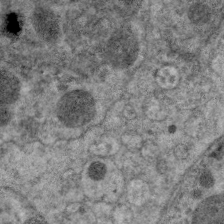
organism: C. elegans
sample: Pharynx